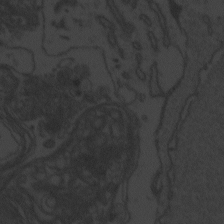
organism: Zebrafish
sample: Macrophage infected with Toxoplasma gondii